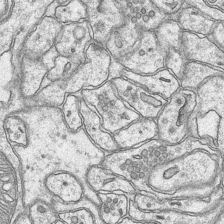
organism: Mouse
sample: CA1 Hippocampus